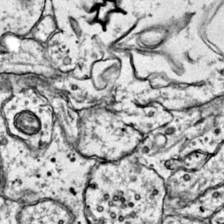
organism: Mouse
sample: Primary visual cortex